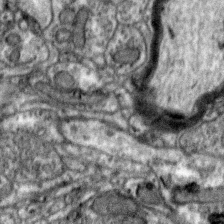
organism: Zebra finch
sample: Brain